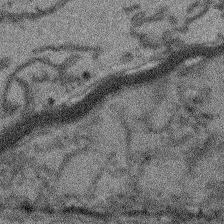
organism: Arabidopsis thaliana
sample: Root tip